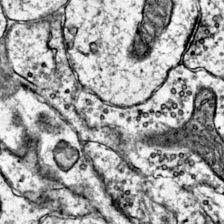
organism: Mouse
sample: Primary visual cortex